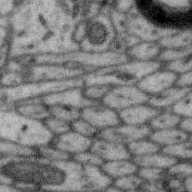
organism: Zebra finch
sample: Brain